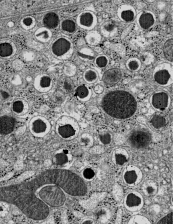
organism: C57BL Mouse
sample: Pancreatic islet